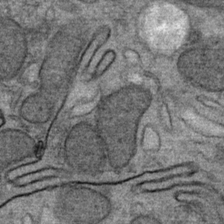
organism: Mouse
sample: Mouse Salivary gland